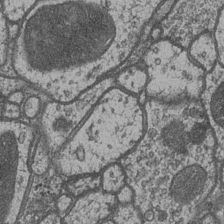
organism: Drosophila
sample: Optic medulla